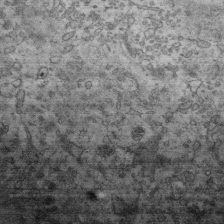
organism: Human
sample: Activated Jurkat CD4+ T cells